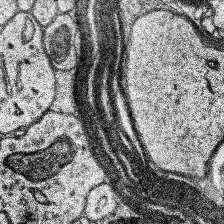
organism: Human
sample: Temporal Lobe